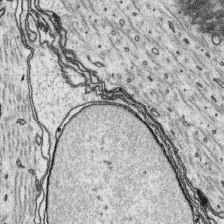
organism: Platynereis dumerilii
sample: Parapodia